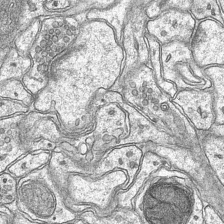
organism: Mouse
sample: CA1 Hippocampus